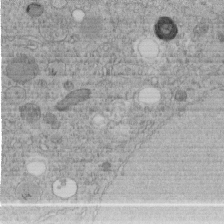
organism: C. elegans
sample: C. elegans embryo early stage